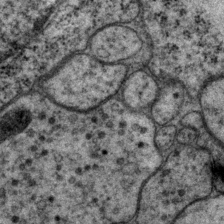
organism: P. pacificus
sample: Pharynx